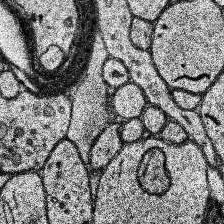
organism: Human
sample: Temporal Lobe